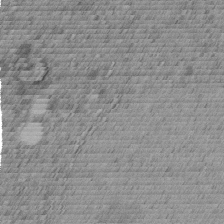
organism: C. elegans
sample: C. elegans embryo early stage